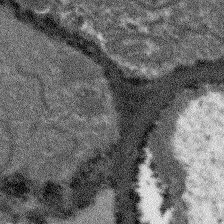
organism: Arabidopsis thaliana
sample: Root tip